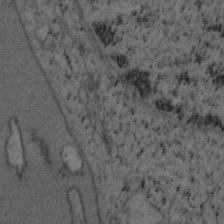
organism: Human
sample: HeLa cells